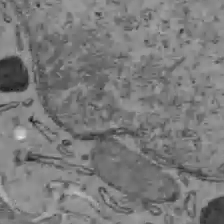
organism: C57BL Mouse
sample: Liver